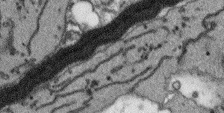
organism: Arabidopsis thaliana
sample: Root tip